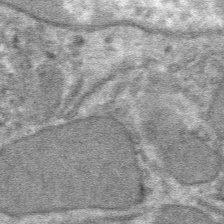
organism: Mouse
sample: Mouse hepatocytes